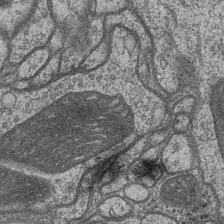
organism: Drosophila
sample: Optic medulla